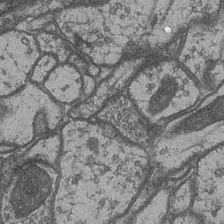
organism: Drosophila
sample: Optic medulla